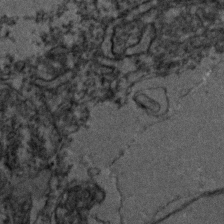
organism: Zebrafish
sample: Zebrafish embryo